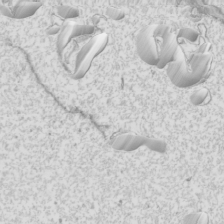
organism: Mouse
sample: Cilia; mouse epididymis